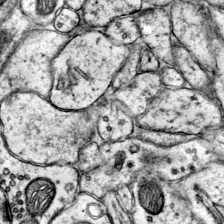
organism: Mouse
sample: Primary visual cortex